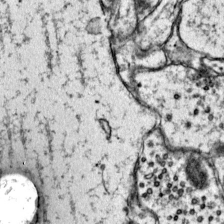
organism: Mouse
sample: Primary visual cortex